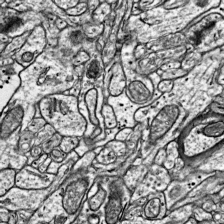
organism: Mouse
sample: Visual Cortex